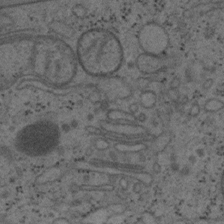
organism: Human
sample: HeLa cells